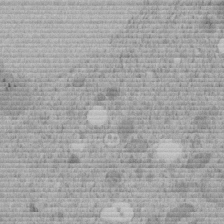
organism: C. elegans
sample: C. elegans embryo early stage